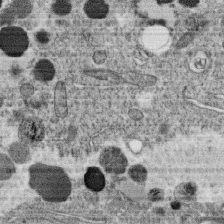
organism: C. elegans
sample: C. elegans oocyte; sperm cells